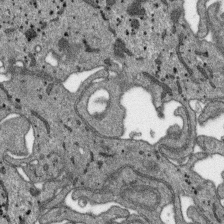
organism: Human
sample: Lung epithelial cells, uninfected (mock) control